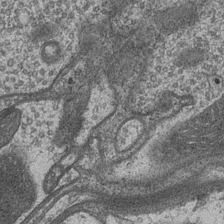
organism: Drosophila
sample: Optic medulla